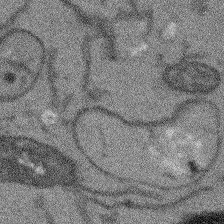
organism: Arabidopsis thaliana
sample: Root tip